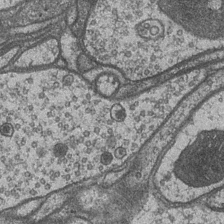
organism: Drosophila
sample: Optic medulla